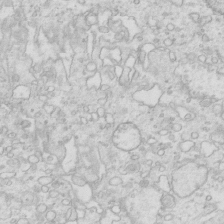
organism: Mouse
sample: Multiciliated cells